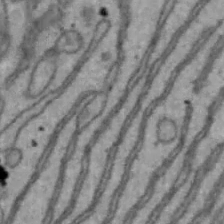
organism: Mouse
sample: Liver